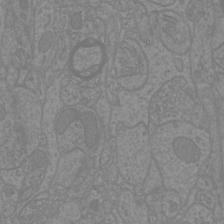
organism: Mouse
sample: Cortical neurons